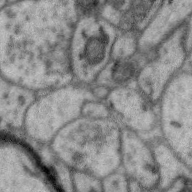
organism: Zebra finch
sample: Brain